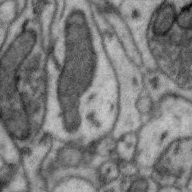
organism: Zebra finch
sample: Brain